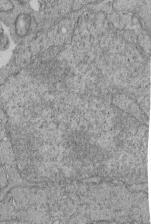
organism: Human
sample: Retinal organoid Rod and Cone cells